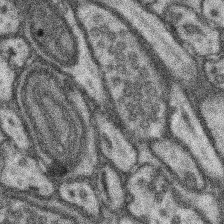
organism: Mouse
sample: Somatosensory cortex neuropil